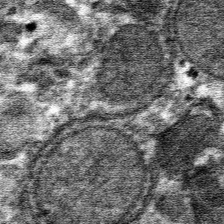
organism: Mouse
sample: Mouse hepatocytes